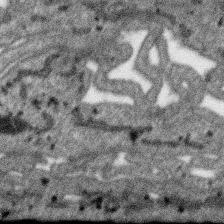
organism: Human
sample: Lung epithelial cells infected with SARS-CoV-2